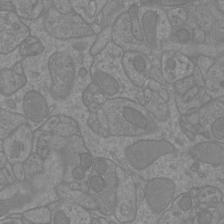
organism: Mouse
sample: Cortical neurons